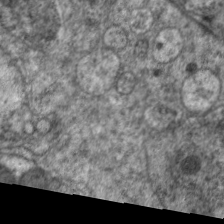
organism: C. elegans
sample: Pharynx